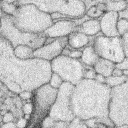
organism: Rabbit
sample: Retina